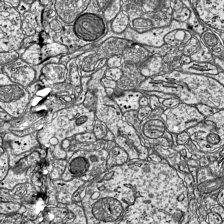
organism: Mouse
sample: Visual Cortex